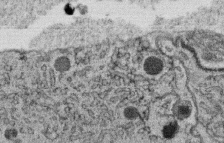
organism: C. elegans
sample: C. elegans oocyte; sperm cells